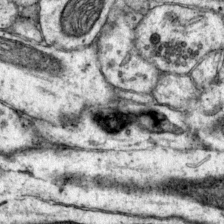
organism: Mouse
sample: Primary visual cortex